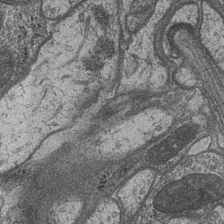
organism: Drosophila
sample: Optic medulla